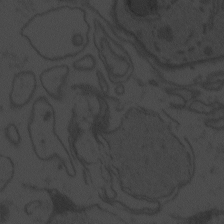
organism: Zebrafish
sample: Macrophage infected with Toxoplasma gondii